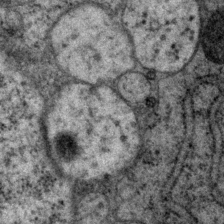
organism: P. pacificus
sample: Pharynx